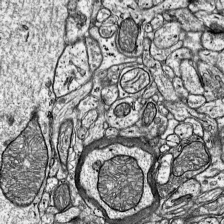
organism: Mouse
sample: Visual Cortex